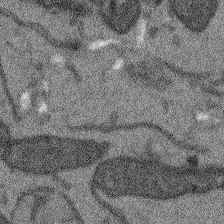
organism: Arabidopsis thaliana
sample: Root tip